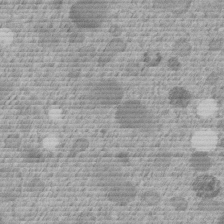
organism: C. elegans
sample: C. elegans embryo early stage